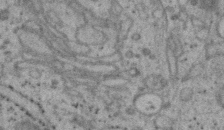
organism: Human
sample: HeLa cells